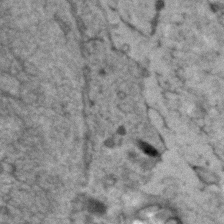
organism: Human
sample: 1205lu cells